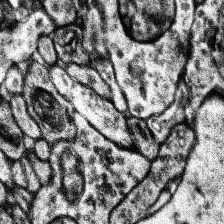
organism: Human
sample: Temporal Lobe